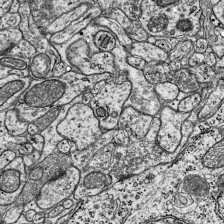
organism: Mouse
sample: Visual Cortex